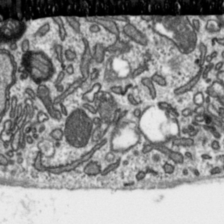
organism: Toxoplasma gondii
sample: Parasites in a vacuole inside a host cell